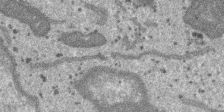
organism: Human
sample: Lung epithelial cells infected with SARS-CoV-2